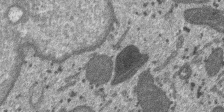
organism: Human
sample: Lung epithelial cells infected with SARS-CoV-2